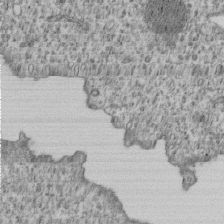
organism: Human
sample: MDA-MB-231 cells